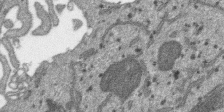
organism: Human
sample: Lung epithelial cells infected with SARS-CoV-2